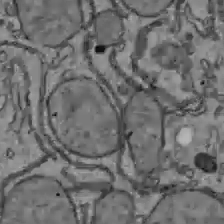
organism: C57BL Mouse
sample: Liver